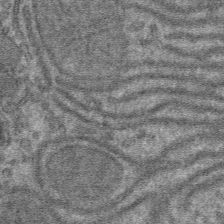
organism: Mouse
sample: Mouse hepatocytes